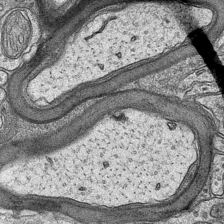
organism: Mouse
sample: CA1 Hippocampus